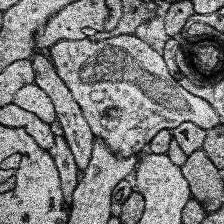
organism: Human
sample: Temporal Lobe